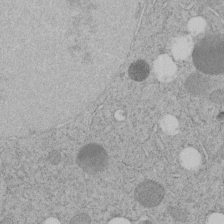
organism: C. elegans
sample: C. elegans embryo early stage